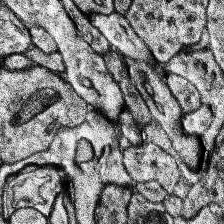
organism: Human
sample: Temporal Lobe